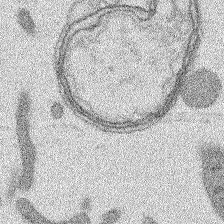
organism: Human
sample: HeLa cells